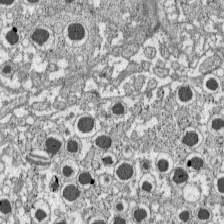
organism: C57BL Mouse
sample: Pancreatic islet